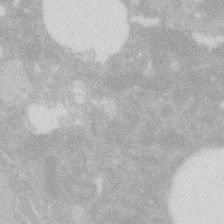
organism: Zebrafish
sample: Macrophage